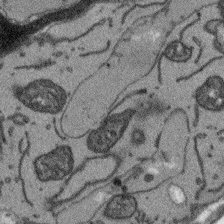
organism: Arabidopsis thaliana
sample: Root tip